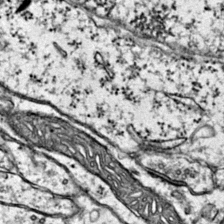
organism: Mouse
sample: Primary visual cortex